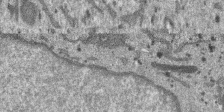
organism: Human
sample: Lung epithelial cells infected with SARS-CoV-2